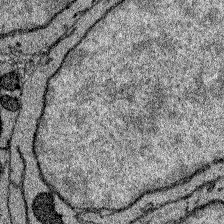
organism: Zebrafish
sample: Larval olfactory bulb